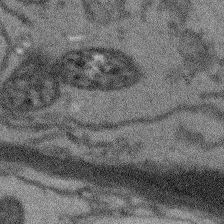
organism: Arabidopsis thaliana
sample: Root tip